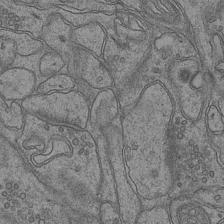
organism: Mouse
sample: CA1 Hippocampus